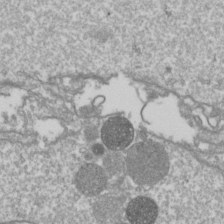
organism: Drosophila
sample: Cell division; meiosis; drosophila spermatocytes